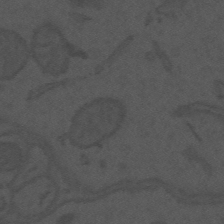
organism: Mouse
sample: Suprachiasmatic nucleus